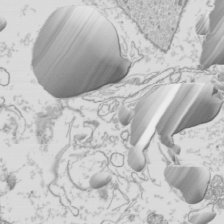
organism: Mouse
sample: Cilia; mouse epididymis